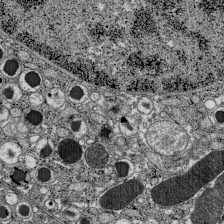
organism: C57BL Mouse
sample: Pancreatic islet